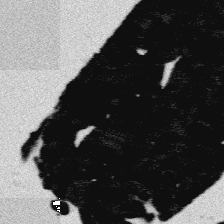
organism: Platynereis dumerilii